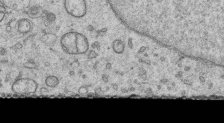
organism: Human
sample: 1205lu cells